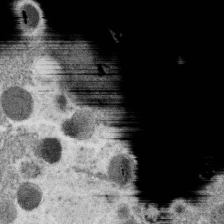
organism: C. elegans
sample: C. elegans oocyte; sperm cells